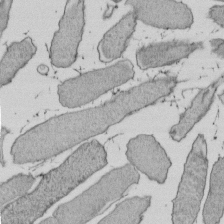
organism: E. coli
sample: Bacterial nucleoid